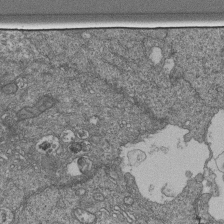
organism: Human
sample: Retinal organoid Rod and Cone cells